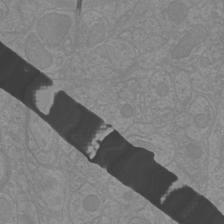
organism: Mouse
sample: Cortical neurons